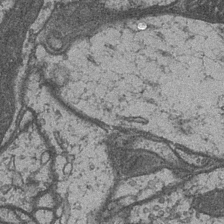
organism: Drosophila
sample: Optic medulla